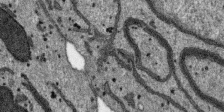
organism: Human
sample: Lung epithelial cells, uninfected (mock) control